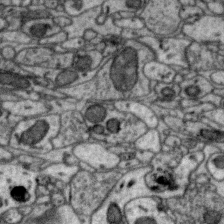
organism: Zebra finch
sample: Brain